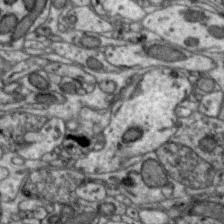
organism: Zebra finch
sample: Brain